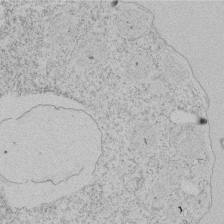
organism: Tetrahymena